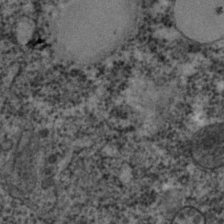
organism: C. elegans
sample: C. elegans embryo